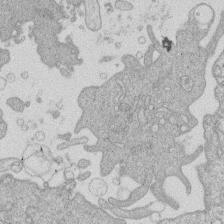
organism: Human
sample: Macrophage cells